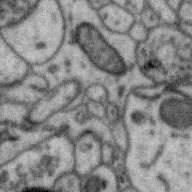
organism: Zebra finch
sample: Brain